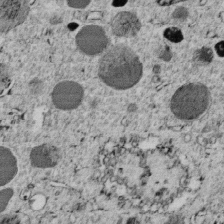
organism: C. elegans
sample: C. elegans embryo early stage